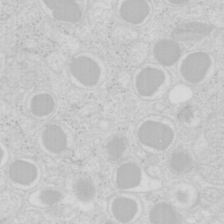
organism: Mouse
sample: Pancreas